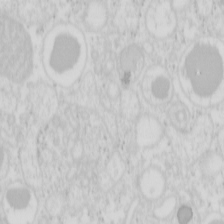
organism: Mouse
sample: Pancreas